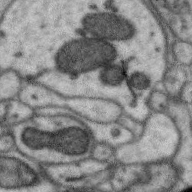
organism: Zebra finch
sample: Brain